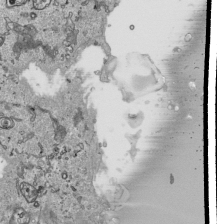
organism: Human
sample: Mitochondria in HCT116 cells